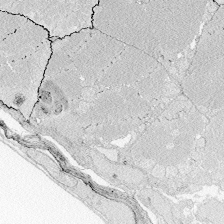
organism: Zebrafish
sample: Whole-Brain